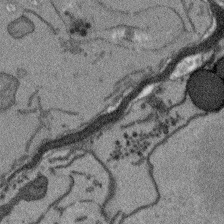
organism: Arabidopsis thaliana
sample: Root tip